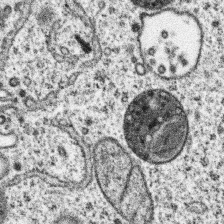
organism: Human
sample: HeLa cells